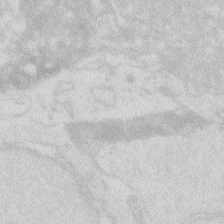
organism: Zebrafish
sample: Macrophage